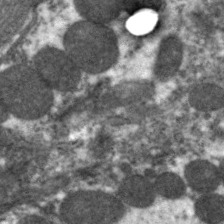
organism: C. elegans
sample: Pharynx